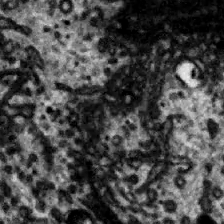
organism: Human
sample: HeLa cells